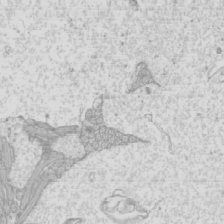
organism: Mouse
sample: Cilia; mouse epididymis